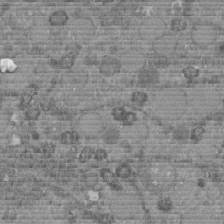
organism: C. elegans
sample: C. elegans embryo early stage